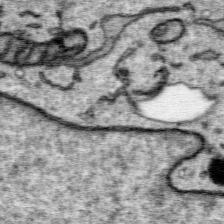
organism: Human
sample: HeLa cells